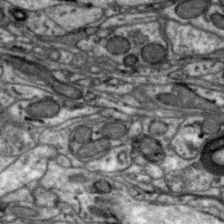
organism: Zebra finch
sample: Brain